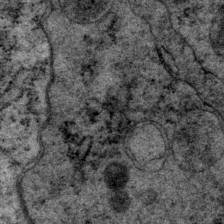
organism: P. pacificus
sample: Pharynx